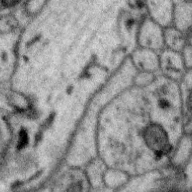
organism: Zebra finch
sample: Brain